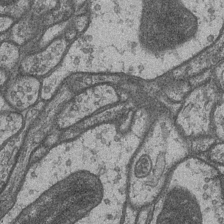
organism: Drosophila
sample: Optic medulla